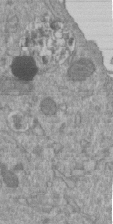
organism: Mouse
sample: ED-1 cell nuclei; centrioles